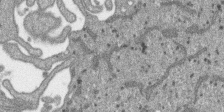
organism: Human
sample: Lung epithelial cells infected with SARS-CoV-2